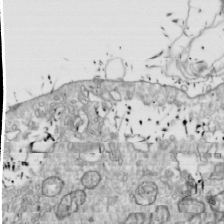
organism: Drosophila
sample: Cell division; meiosis; drosophila spermatocytes